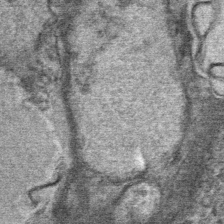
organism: Mouse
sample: Mouse Salivary gland